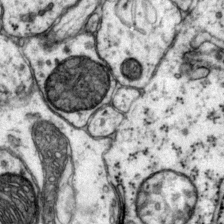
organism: Mouse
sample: Primary visual cortex